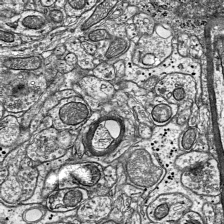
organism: Mouse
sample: Visual Cortex